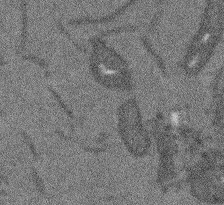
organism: Arabidopsis thaliana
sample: Root tip